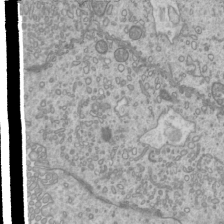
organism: Mouse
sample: Cilia; mouse epididymis